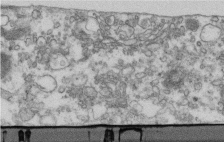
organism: Human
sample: Centriole in fibroblast cells